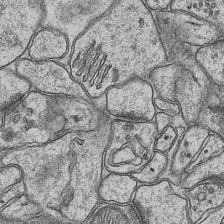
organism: Mouse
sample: CA1 Hippocampus